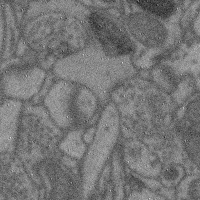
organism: Mouse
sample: Cerebral cortex